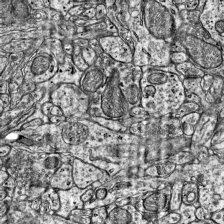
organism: Mouse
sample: Visual Cortex